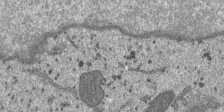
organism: Human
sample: Lung epithelial cells infected with SARS-CoV-2